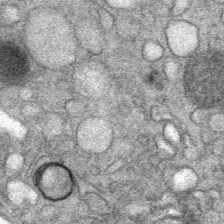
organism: Mouse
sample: Mouse Salivary gland